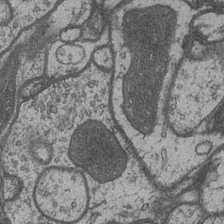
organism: Drosophila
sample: Optic medulla